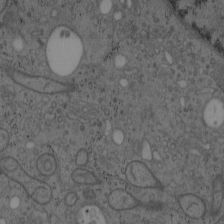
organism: Mouse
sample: OT-I killer T cells with ID8 ovarian cancer cells